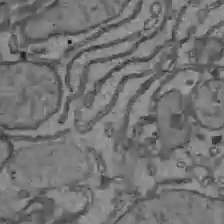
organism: C57BL Mouse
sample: Liver